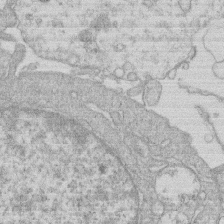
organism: Human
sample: Macrophage cells